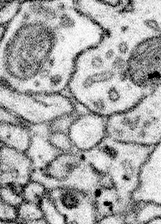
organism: Mouse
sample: Somatosensory cortex neuropil